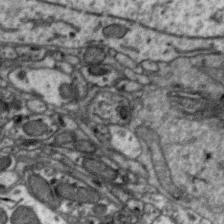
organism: Zebra finch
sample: Brain